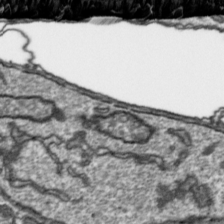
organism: Toxoplasma gondii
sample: Parasites in a vacuole inside a host cell